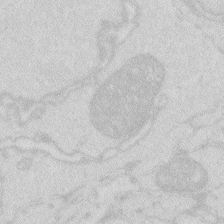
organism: Zebrafish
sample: Macrophage